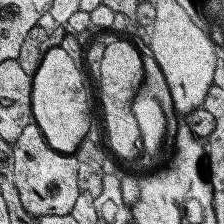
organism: Human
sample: Temporal Lobe